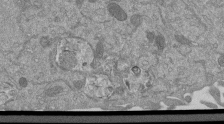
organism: Mouse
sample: ED-1 cell nuclei; centrioles